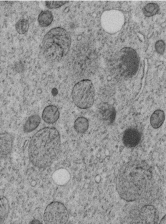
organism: C. elegans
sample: C. elegans embryo early stage